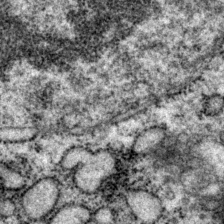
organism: P. pacificus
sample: Pharynx